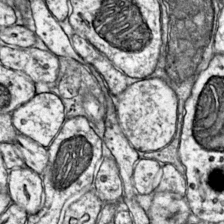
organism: Mouse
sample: Primary visual cortex